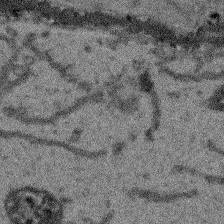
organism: Arabidopsis thaliana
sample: Root tip